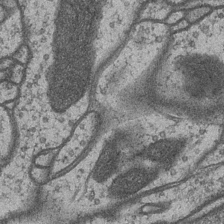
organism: Drosophila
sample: Optic medulla